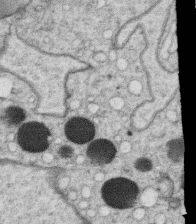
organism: C. elegans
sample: C. elegans oocyte; sperm cells